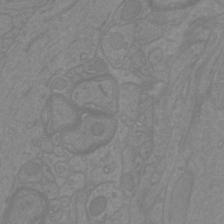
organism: Mouse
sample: Cortical neurons